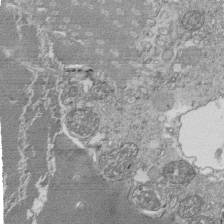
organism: Tetrahymena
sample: Cilia in tetrahymena